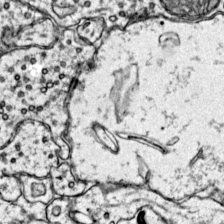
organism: Mouse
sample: Primary visual cortex